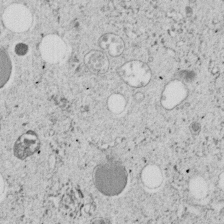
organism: C. elegans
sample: C. elegans embryo early stage